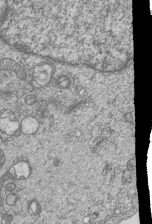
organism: Human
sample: MDA-MB-231 cells